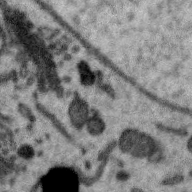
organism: Zebra finch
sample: Brain